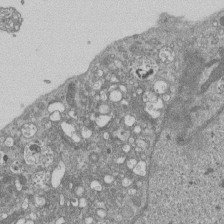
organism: Mouse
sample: ED-1 cell nuclei; centrioles